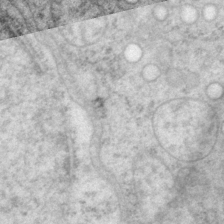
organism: P. pacificus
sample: Pharynx